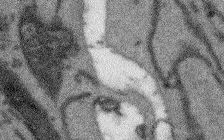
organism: Arabidopsis thaliana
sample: Root tip